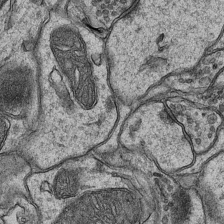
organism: Mouse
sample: CA1 Hippocampus